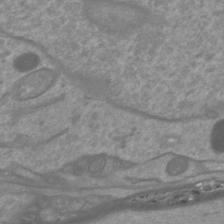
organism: Mouse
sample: Cortical neurons